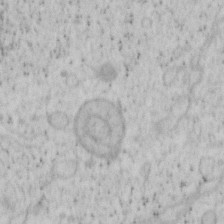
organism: Human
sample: HeLa cells